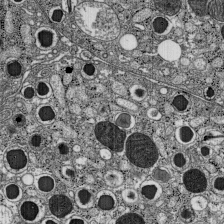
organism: C57BL Mouse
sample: Pancreatic islet